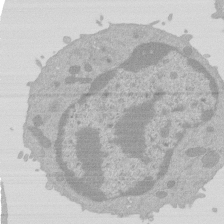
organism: Mouse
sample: Activated Pmel transgenic CD8+ T Cells